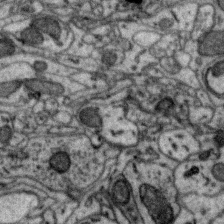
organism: Zebra finch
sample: Brain